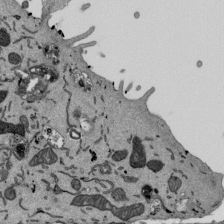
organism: Mouse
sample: ED-1 cell nuclei; centrioles